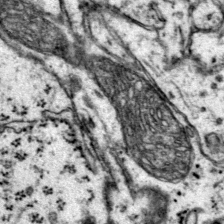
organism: Mouse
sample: Primary visual cortex